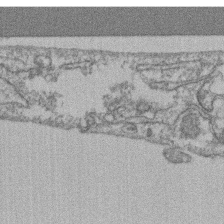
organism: Mouse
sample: T cell stromal cell synapse